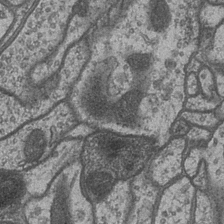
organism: Drosophila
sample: Optic medulla